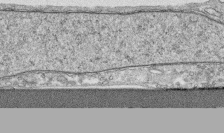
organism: Human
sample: CRL-1474